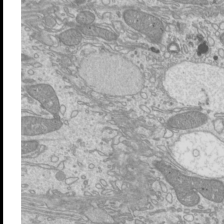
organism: Mouse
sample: Cilia; mouse epididymis